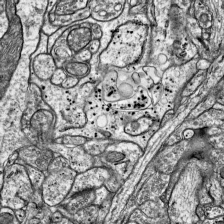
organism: Mouse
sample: Visual Cortex